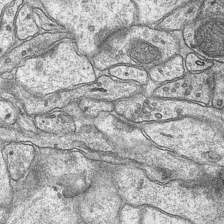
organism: Mouse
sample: CA1 Hippocampus